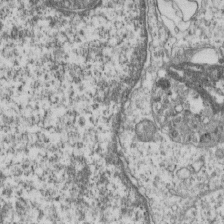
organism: Human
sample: MDA-MB-231 cells